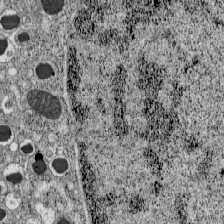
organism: C57BL Mouse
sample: Pancreatic islet